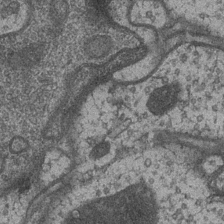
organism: Drosophila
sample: Optic medulla